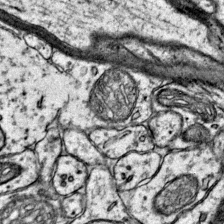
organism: Mouse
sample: Primary visual cortex